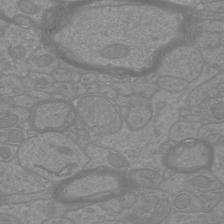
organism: Mouse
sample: Cortical neurons